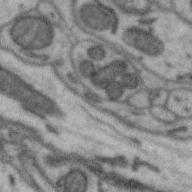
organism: Zebra finch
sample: Brain